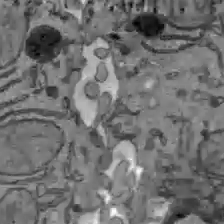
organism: C57BL Mouse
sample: Liver